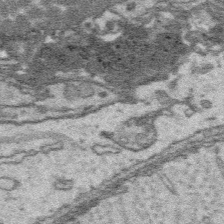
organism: Platynereis dumerilii